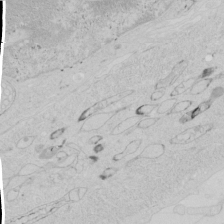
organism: Human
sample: Mitochondria in HCT116 cells